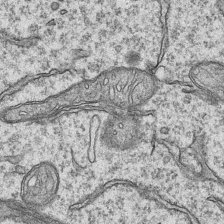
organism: Mouse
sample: CA1 Hippocampus